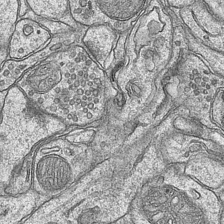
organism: Mouse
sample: CA1 Hippocampus